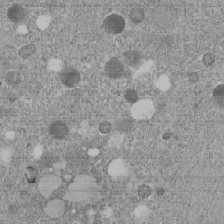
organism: C. elegans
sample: C. elegans embryo early stage